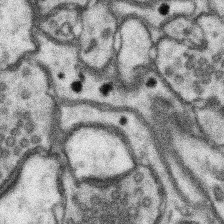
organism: Mouse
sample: Somatosensory cortex neuropil